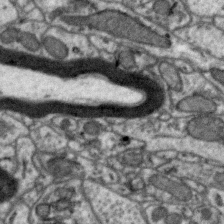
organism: Zebra finch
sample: Brain